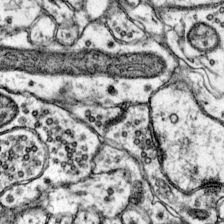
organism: Mouse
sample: Primary visual cortex